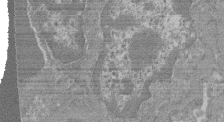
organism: Mouse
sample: Glomerulus